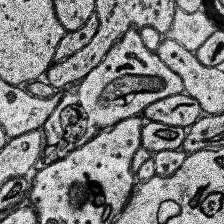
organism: Human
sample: Temporal Lobe